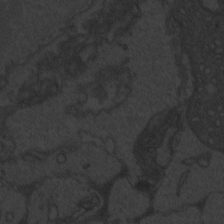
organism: Zebrafish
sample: Macrophage infected with Toxoplasma gondii